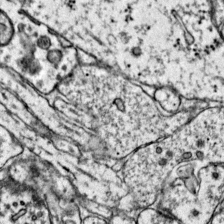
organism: Mouse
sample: Primary visual cortex